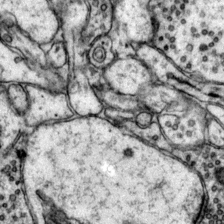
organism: Mouse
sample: Primary visual cortex